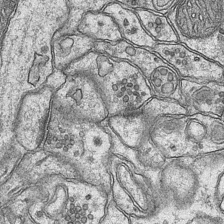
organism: Mouse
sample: CA1 Hippocampus